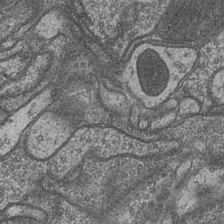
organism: Drosophila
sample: Optic medulla